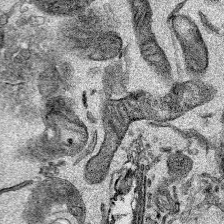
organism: Mouse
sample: Cancer cell death in ED-1 cells